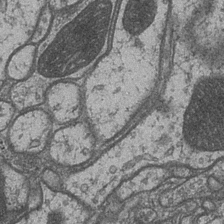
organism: Drosophila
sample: Optic medulla